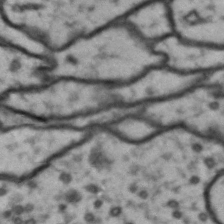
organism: Drosophila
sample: Brain